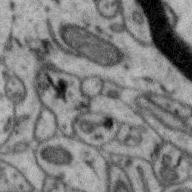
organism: Zebra finch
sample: Brain